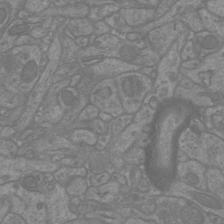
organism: Mouse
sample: Cortical neurons